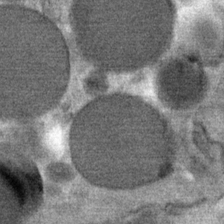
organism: Mouse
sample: Mouse Salivary gland